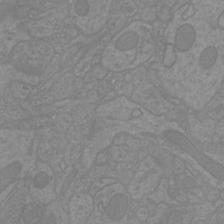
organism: Mouse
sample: Cortical neurons